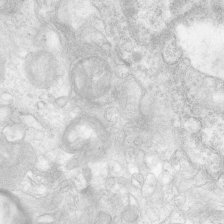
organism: Human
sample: Neocortex